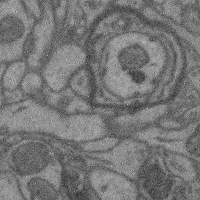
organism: Mouse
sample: Cerebral cortex